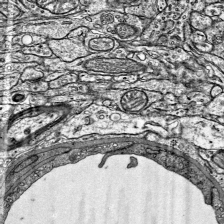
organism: Mouse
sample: Visual Cortex